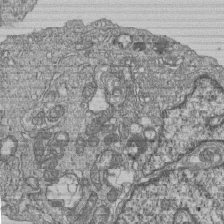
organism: Human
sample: MDA-MB-231 cells